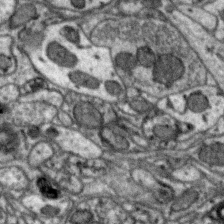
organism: Zebra finch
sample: Brain